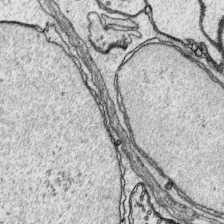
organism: Platynereis dumerilii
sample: Parapodia